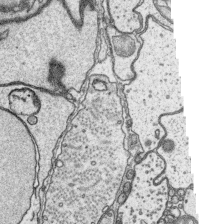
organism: Platynereis dumerilii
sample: Parapodia